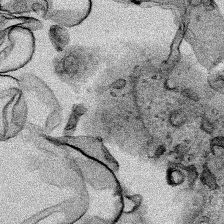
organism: Human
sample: Mitochondria in HCT116 cells